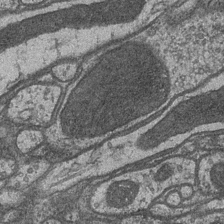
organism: Drosophila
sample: Optic medulla